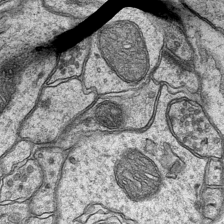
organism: Mouse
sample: CA1 Hippocampus